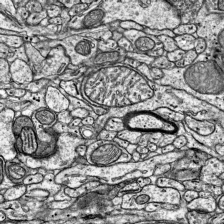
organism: Mouse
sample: Visual Cortex